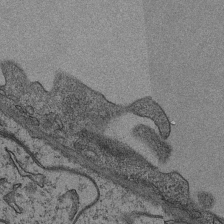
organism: Mouse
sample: CA1 Hippocampus